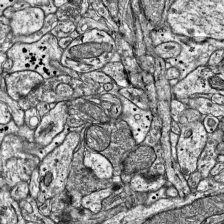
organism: Mouse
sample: Visual Cortex